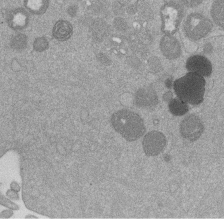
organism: Mouse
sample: Dividing mouse embryo 1 cell stage